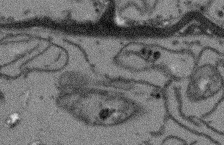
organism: Arabidopsis thaliana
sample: Root tip